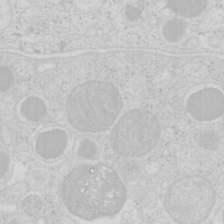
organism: Mouse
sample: Pancreas